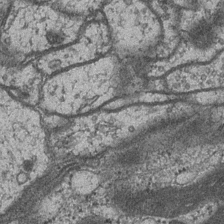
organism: Drosophila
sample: Optic medulla